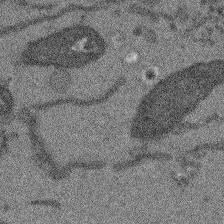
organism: Arabidopsis thaliana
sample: Root tip